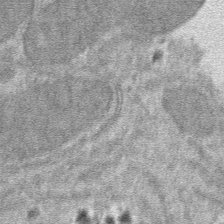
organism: Mouse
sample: Mouse hepatocytes